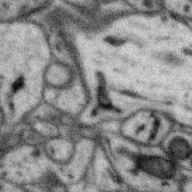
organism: Zebra finch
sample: Brain